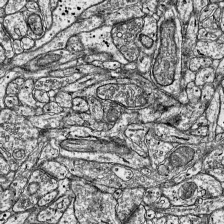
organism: Mouse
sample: Visual Cortex